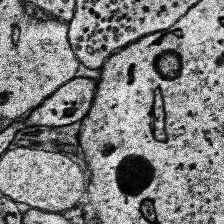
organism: Human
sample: Temporal Lobe